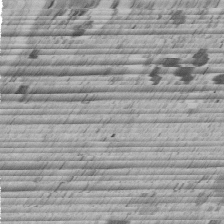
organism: C. elegans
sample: C. elegans embryo early stage